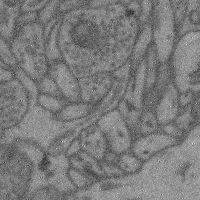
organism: Mouse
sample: Cerebral cortex